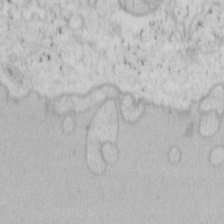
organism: Human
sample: HeLa cells